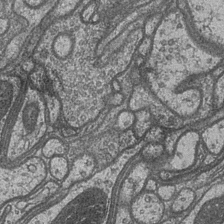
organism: Drosophila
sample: Optic medulla